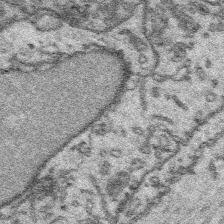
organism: Platynereis dumerilii